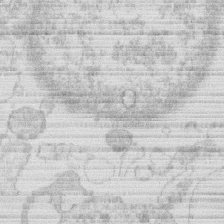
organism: Human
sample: Macrophage cells